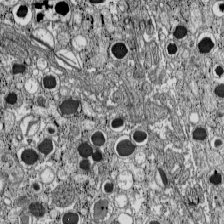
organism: C57BL Mouse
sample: Pancreatic islet